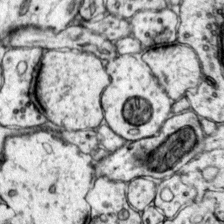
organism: Mouse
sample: Primary visual cortex